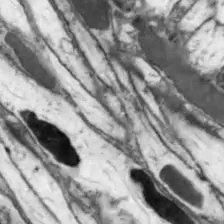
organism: Drosophila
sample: Optic lobe